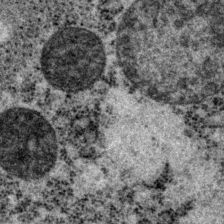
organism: P. pacificus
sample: Pharynx